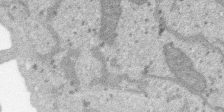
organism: Human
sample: Lung epithelial cells infected with SARS-CoV-2